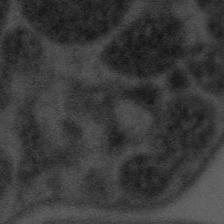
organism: Tuwongella immobilis